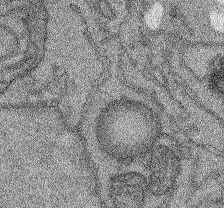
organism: Human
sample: HeLa cells